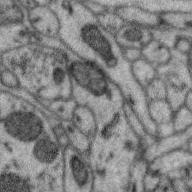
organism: Zebra finch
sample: Brain